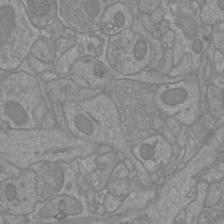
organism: Mouse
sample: Cortical neurons